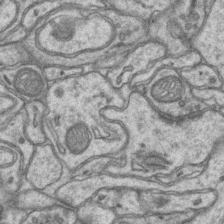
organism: Mouse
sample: CA1 Hippocampus